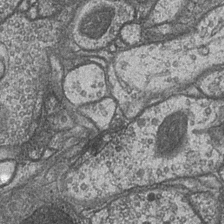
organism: Drosophila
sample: Optic medulla